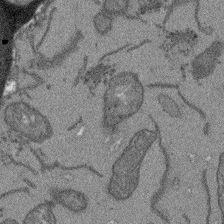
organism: Arabidopsis thaliana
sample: Root tip